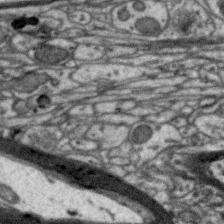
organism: Zebra finch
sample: Brain